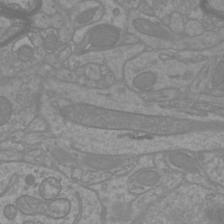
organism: Mouse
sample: Cortical neurons